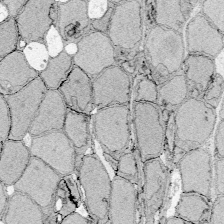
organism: Zebrafish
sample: Whole-Brain